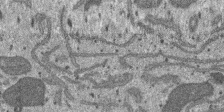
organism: Human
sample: Lung epithelial cells infected with SARS-CoV-2